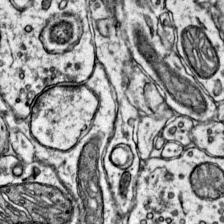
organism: Mouse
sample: Primary visual cortex